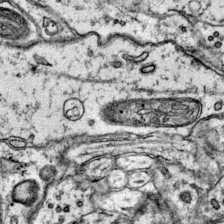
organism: Mouse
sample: Primary visual cortex